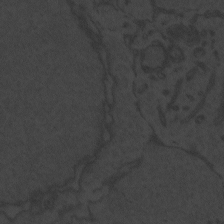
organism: Zebrafish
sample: Macrophage infected with Toxoplasma gondii